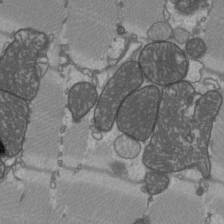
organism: C57BL Mouse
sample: Heart